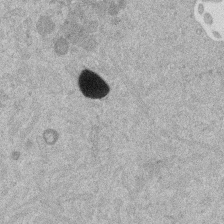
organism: Mouse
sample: Dividing mouse embryo 1 cell stage